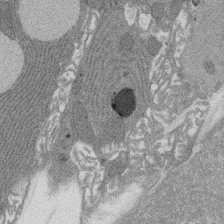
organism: Rat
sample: Salivary granule